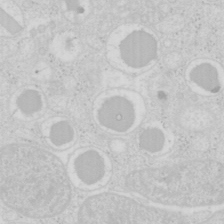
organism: Mouse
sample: Pancreas